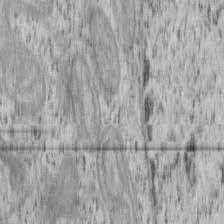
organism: Human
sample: HeLa cells